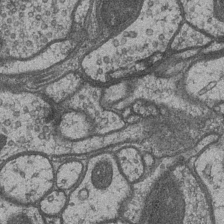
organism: Drosophila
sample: Optic medulla